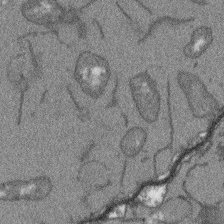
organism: Arabidopsis thaliana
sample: Root tip